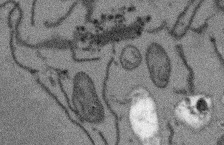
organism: Arabidopsis thaliana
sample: Root tip